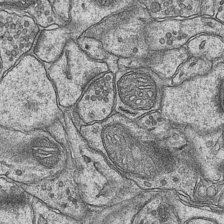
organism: Mouse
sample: CA1 Hippocampus